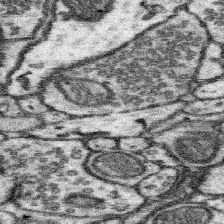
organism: Mouse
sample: Somatosensory cortex neuropil